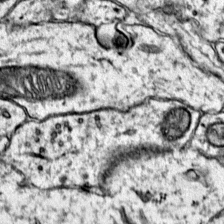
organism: Mouse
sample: Primary visual cortex